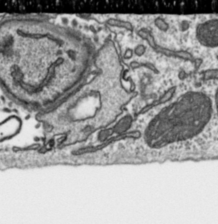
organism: Toxoplasma gondii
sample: Parasites in a vacuole inside a host cell